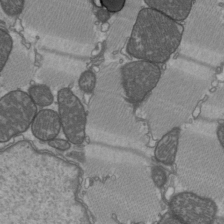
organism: C57BL Mouse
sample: Heart